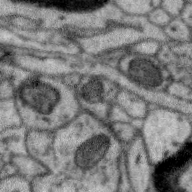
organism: Zebra finch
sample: Brain